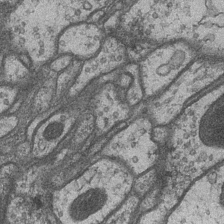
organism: Drosophila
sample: Optic medulla